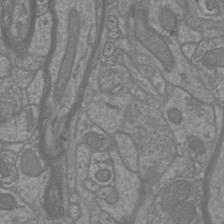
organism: Mouse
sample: Cortical neurons